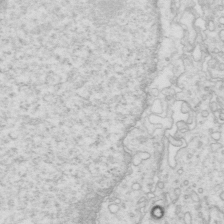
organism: Mouse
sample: Multiciliated cells